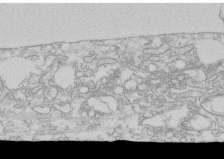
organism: Human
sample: CRL-1474